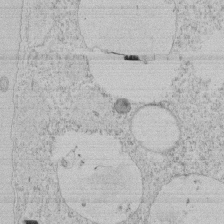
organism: Tetrahymena